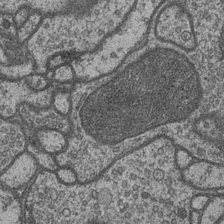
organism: Drosophila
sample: Optic medulla